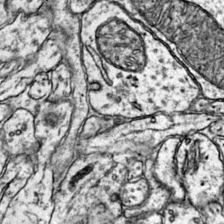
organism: Mouse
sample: Primary visual cortex